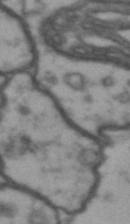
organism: Drosophila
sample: Brain